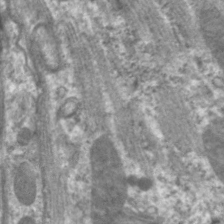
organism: C. elegans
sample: Pharynx